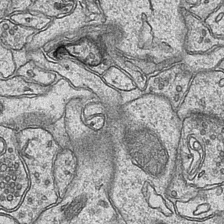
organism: Mouse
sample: CA1 Hippocampus